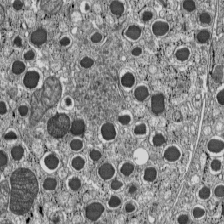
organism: C57BL Mouse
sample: Pancreatic islet